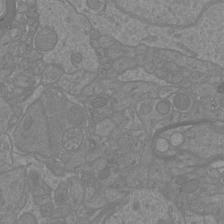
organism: Mouse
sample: Cortical neurons